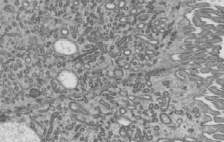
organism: Mouse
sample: Mouse epididymis efferent ductule cilia